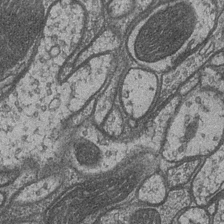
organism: Drosophila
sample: Optic medulla